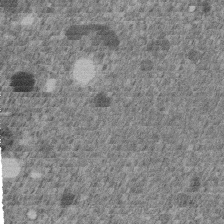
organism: C. elegans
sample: C. elegans embryo early stage